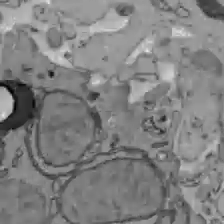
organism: C57BL Mouse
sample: Liver